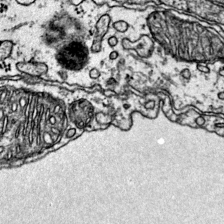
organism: Mouse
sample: Primary visual cortex